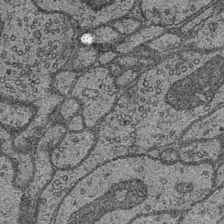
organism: Drosophila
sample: Optic medulla